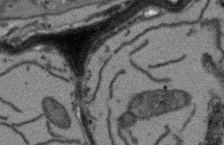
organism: Arabidopsis thaliana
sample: Root tip